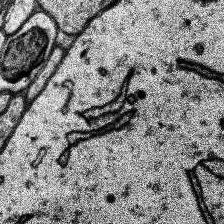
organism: Human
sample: Temporal Lobe